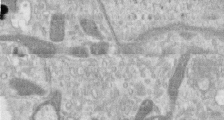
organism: Human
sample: Centriole in RPE cells